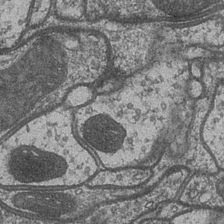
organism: Drosophila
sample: Optic medulla